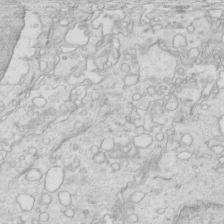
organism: Mouse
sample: Multiciliated cells